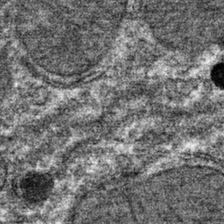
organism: Mouse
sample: Mouse hepatocytes